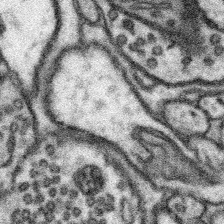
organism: Mouse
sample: Somatosensory cortex neuropil